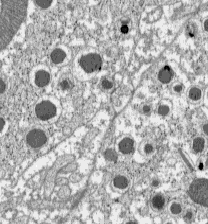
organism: C57BL Mouse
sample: Pancreatic islet